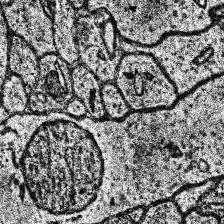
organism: Human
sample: Temporal Lobe